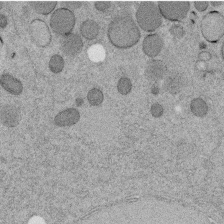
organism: C. elegans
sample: C. elegans embryo early stage